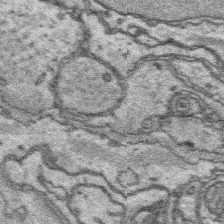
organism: Platynereis dumerilii